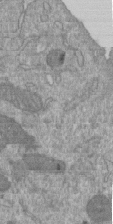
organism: Mouse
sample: ED-1 cell nuclei; centrioles